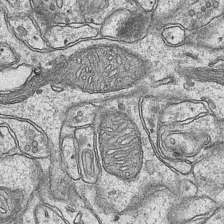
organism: Mouse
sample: CA1 Hippocampus